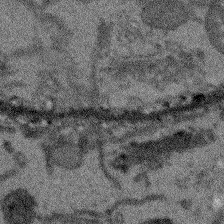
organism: Arabidopsis thaliana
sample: Root tip